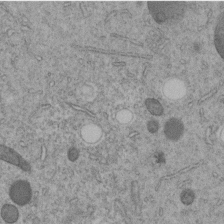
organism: C. elegans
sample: C. elegans embryo early stage